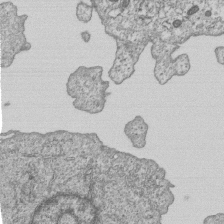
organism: Human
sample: MDA-MB-231 cells